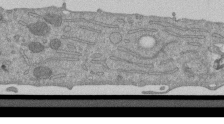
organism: Mouse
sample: ED-1 cell nuclei; centrioles